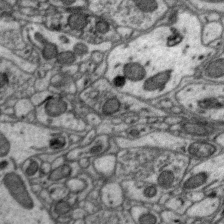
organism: Zebra finch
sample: Brain